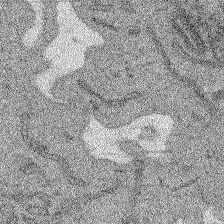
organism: Human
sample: HeLa cells